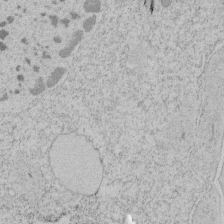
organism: Tetrahymena